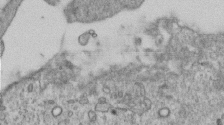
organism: Human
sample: Centriole in RPE cells